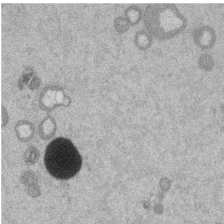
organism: Mouse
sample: Dividing mouse embryo 1 cell stage